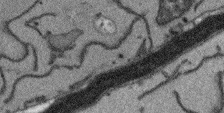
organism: Arabidopsis thaliana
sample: Root tip